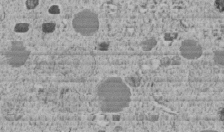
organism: C. elegans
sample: C. elegans embryo early stage